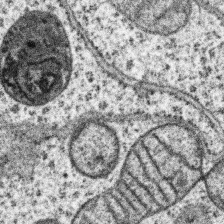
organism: Human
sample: HeLa cells